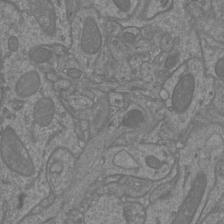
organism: Mouse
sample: Cortical neurons